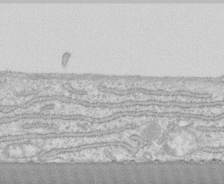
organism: Human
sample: CRL-1474